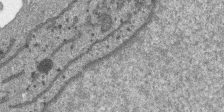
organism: Human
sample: Lung epithelial cells infected with SARS-CoV-2